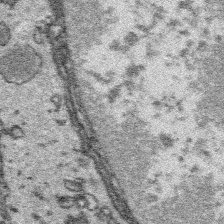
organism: Platynereis dumerilii